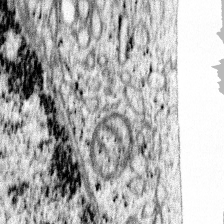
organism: Human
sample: HeLa cells